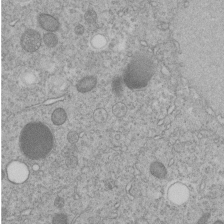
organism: C. elegans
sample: C. elegans embryo early stage